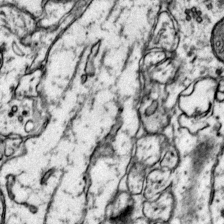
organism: Mouse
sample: Primary visual cortex